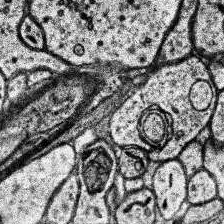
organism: Human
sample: Temporal Lobe